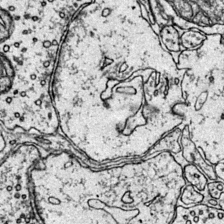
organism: Mouse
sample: Primary visual cortex